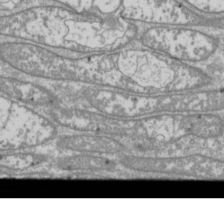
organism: Drosophila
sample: Cell division; meiosis; drosophila spermatocytes